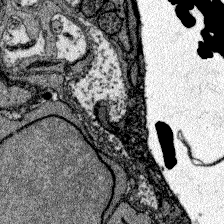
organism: Zebrafish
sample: Larval olfactory bulb